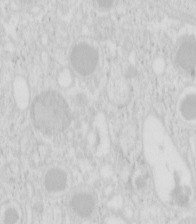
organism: Mouse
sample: Pancreas